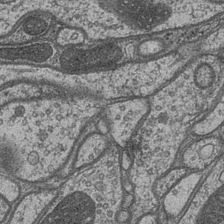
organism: Drosophila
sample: Optic medulla